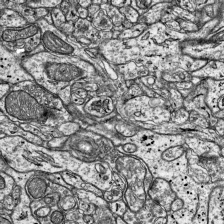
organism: Mouse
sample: Visual Cortex